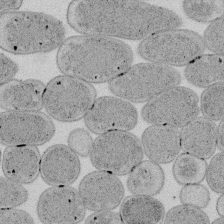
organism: E. coli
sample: Bacterial nucleoid